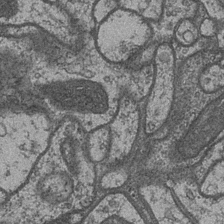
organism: Drosophila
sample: Optic medulla